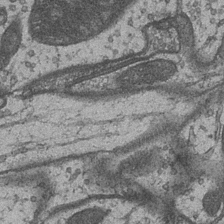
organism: Drosophila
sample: Optic medulla